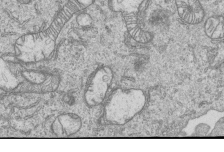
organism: Human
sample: MDA-MB-231 cells